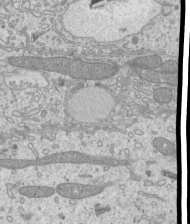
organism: Mouse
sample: Cilia; mouse epididymis